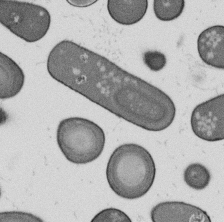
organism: B. subtilis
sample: Bacterial spore